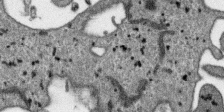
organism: Human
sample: Lung epithelial cells, uninfected (mock) control